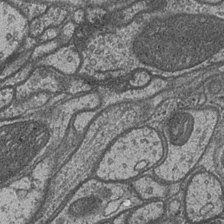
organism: Drosophila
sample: Optic medulla